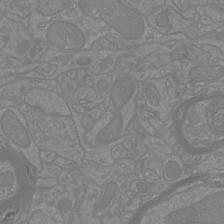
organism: Mouse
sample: Cortical neurons